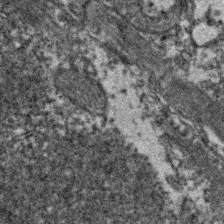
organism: Zebrafish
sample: Zebrafish embryo